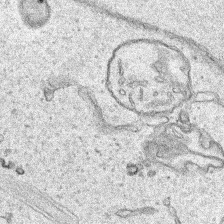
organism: Human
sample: Mitochondria in HCT116 cells